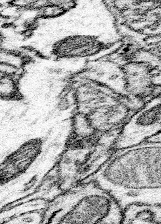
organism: Mouse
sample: Somatosensory cortex neuropil